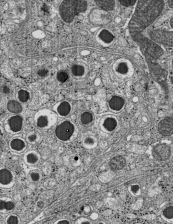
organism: C57BL Mouse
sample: Pancreatic islet